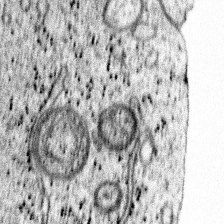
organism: Human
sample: HeLa cells